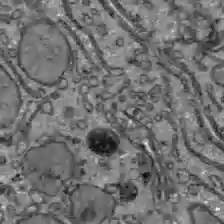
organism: C57BL Mouse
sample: Liver